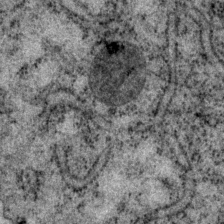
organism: P. pacificus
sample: Pharynx